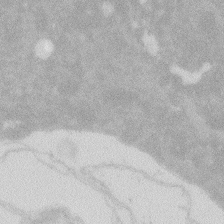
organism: Zebrafish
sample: Macrophage